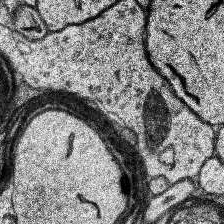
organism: Human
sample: Temporal Lobe